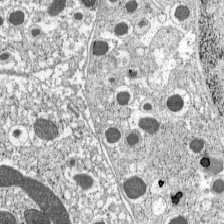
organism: C57BL Mouse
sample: Pancreatic islet